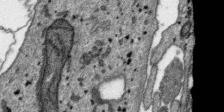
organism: Human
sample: Lung epithelial cells, uninfected (mock) control